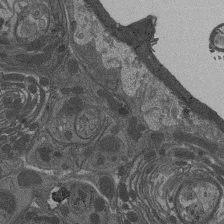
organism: Drosophila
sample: Antenna